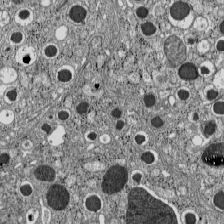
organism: C57BL Mouse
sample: Pancreatic islet